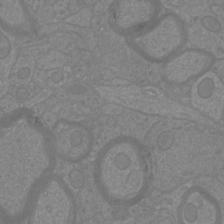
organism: Mouse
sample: Cortical neurons